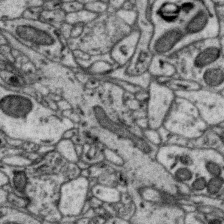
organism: Zebra finch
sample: Brain